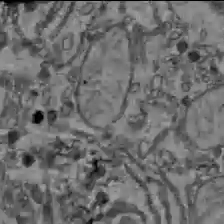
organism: C57BL Mouse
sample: Liver